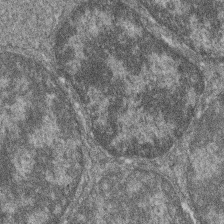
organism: Zebrafish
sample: Cilia; retinal pigment epithelium